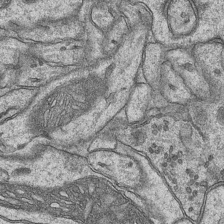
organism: Mouse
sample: CA1 Hippocampus